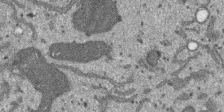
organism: Human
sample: Lung epithelial cells infected with SARS-CoV-2